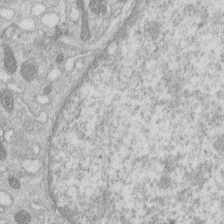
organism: Human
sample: Macrophage cells